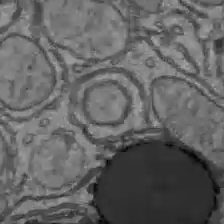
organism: C57BL Mouse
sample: Liver